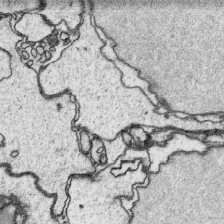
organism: Platynereis dumerilii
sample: Parapodia